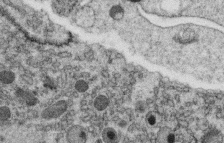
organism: C. elegans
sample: C. elegans oocyte; sperm cells